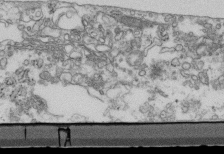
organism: Mouse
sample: Cilia; retinal pigment epithelium